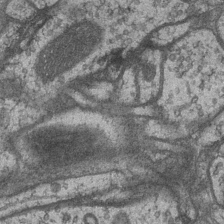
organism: Drosophila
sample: Optic medulla